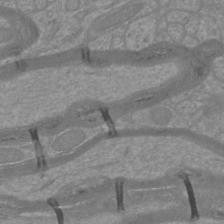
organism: Mouse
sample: Cortical neurons